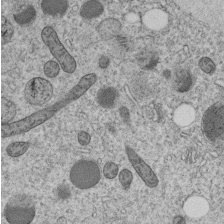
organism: C. elegans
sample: C. elegans embryo early stage